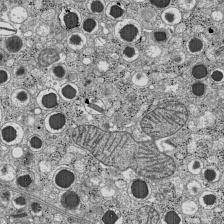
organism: C57BL Mouse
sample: Pancreatic islet